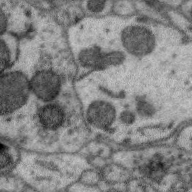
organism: Zebra finch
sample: Brain